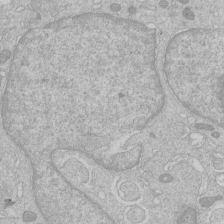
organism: Human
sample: Macrophage cells